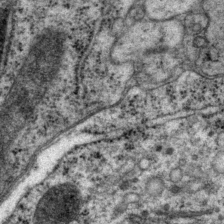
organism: P. pacificus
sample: Pharynx